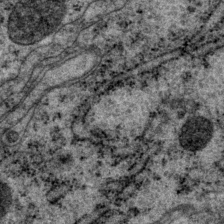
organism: P. pacificus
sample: Pharynx